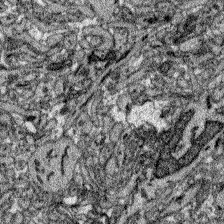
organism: Zebrafish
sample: Larval olfactory bulb